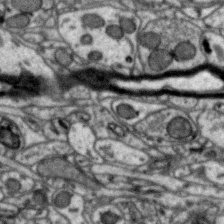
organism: Zebra finch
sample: Brain